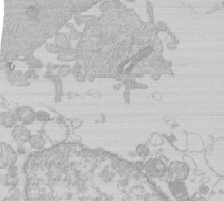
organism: Human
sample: Macrophage cells